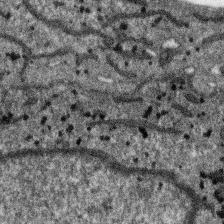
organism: Human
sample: Lung epithelial cells infected with SARS-CoV-2